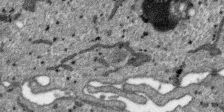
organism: Human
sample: Lung epithelial cells, uninfected (mock) control